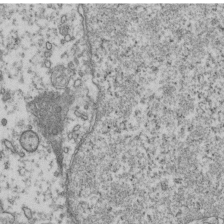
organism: Human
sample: Activated Jurkat CD4+ T cells